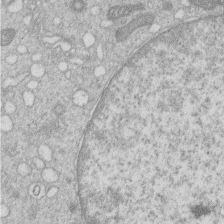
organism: Human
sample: Macrophage cells